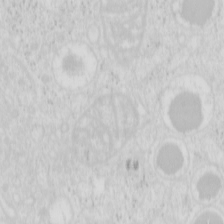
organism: Mouse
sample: Pancreas